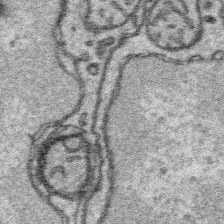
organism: Platynereis dumerilii